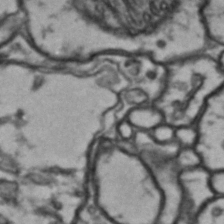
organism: Drosophila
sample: Brain